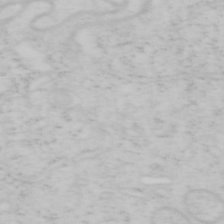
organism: Mouse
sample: OT-I killer T cells with ID8 ovarian cancer cells